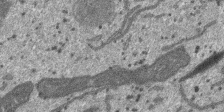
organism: Human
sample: Lung epithelial cells infected with SARS-CoV-2